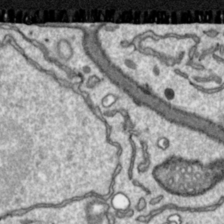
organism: Toxoplasma gondii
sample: Parasites in a vacuole inside a host cell